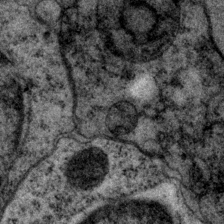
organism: P. pacificus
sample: Pharynx